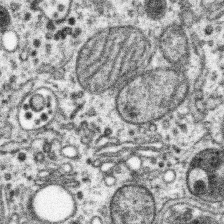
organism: Human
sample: HeLa cells